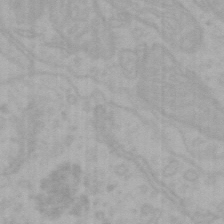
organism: Mouse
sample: Choroid plexus